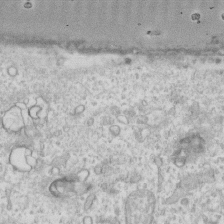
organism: Human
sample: Fibroblast cells